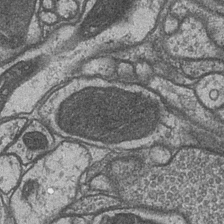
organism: Drosophila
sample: Optic medulla